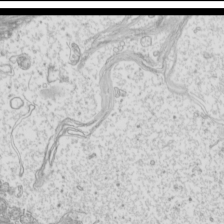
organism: Mouse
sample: Cilia; mouse epididymis